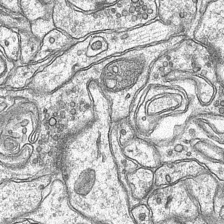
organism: Mouse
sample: CA1 Hippocampus